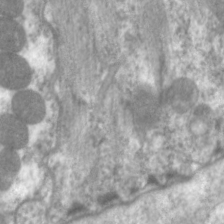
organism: C. elegans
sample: Pharynx